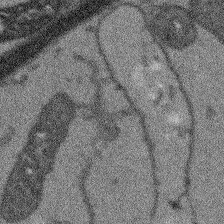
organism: Arabidopsis thaliana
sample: Root tip